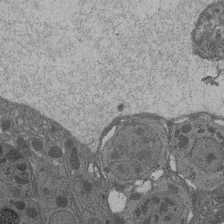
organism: Drosophila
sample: Antenna